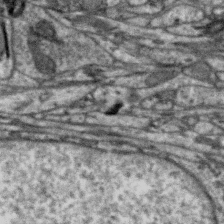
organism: Zebra finch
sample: Brain